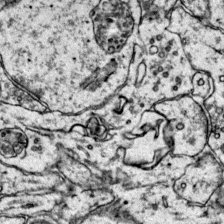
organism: Mouse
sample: Primary visual cortex